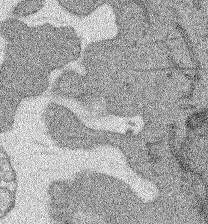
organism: Human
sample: HeLa cells